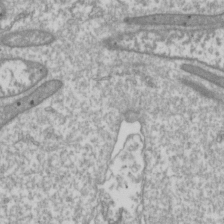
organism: Drosophila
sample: Cell division; meiosis; drosophila spermatocytes